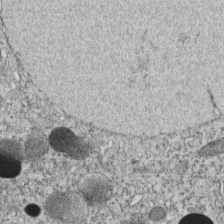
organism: C. elegans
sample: C. elegans embryo early stage